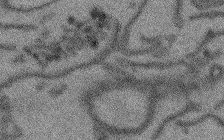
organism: Arabidopsis thaliana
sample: Root tip